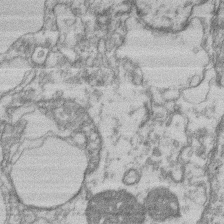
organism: Mouse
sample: T cell stromal cell synapse